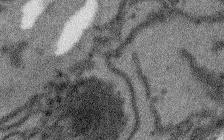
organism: Arabidopsis thaliana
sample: Root tip